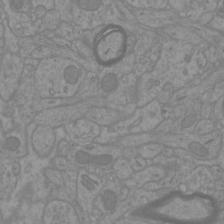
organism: Mouse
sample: Cortical neurons